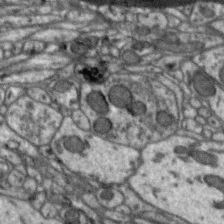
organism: Zebra finch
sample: Brain